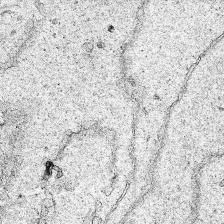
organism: Human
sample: Mitochondria in HCT116 cells